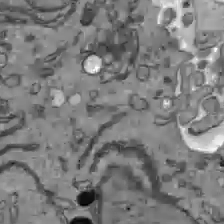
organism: C57BL Mouse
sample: Liver